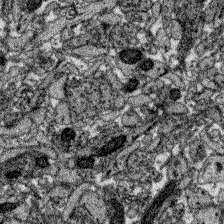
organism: Zebrafish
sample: Larval olfactory bulb